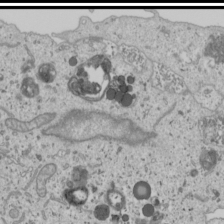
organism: Human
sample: Mitochondria in U2OS cells